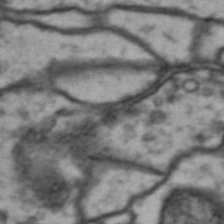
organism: Drosophila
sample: Brain